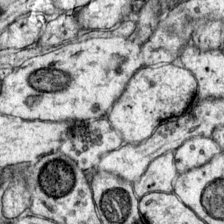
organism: Mouse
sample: Primary visual cortex